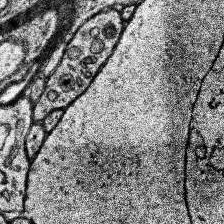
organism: Human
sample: Temporal Lobe